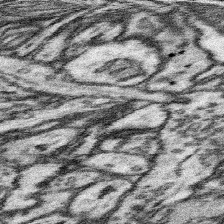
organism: Mouse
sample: Somatosensory cortex neuropil